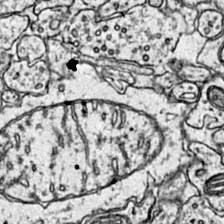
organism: Mouse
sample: Primary visual cortex